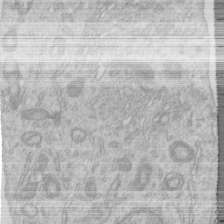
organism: Human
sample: Centriole in RPE cells